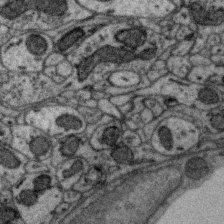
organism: Zebra finch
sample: Brain